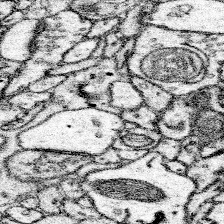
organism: Mouse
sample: Somatosensory cortex neuropil